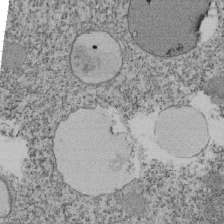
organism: Tetrahymena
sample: Cilia in tetrahymena